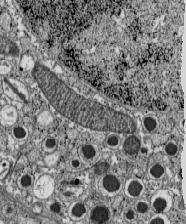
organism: C57BL Mouse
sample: Pancreatic islet